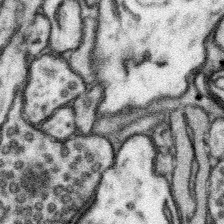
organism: Mouse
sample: Somatosensory cortex neuropil